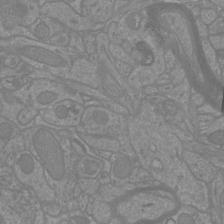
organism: Mouse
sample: Cortical neurons